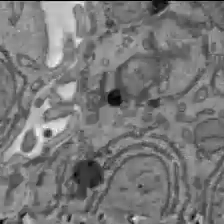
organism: C57BL Mouse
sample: Liver